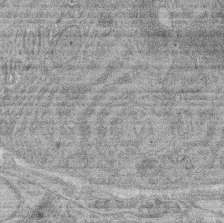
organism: Rat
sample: Salivary granule